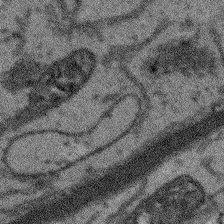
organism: Arabidopsis thaliana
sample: Root tip